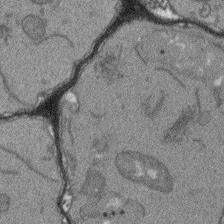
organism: Arabidopsis thaliana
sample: Root tip